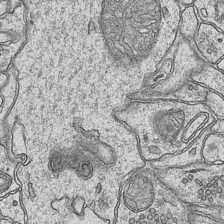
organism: Mouse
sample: CA1 Hippocampus